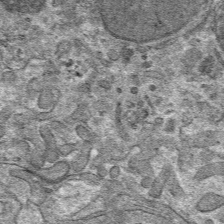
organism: Mouse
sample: Mouse hepatocytes